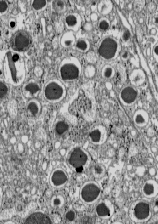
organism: C57BL Mouse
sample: Pancreatic islet